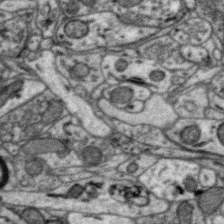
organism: Zebra finch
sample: Brain